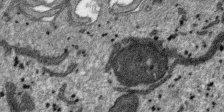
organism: Human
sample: Lung epithelial cells, uninfected (mock) control